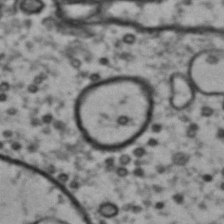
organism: Drosophila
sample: Brain